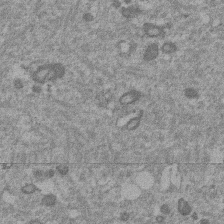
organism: Mouse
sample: Dividing mouse embryo 1 cell stage